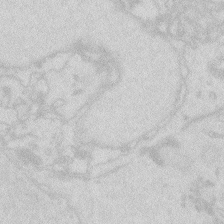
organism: Zebrafish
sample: Macrophage